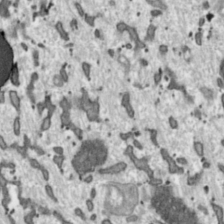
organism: Toxoplasma gondii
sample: Parasites in a vacuole inside a host cell